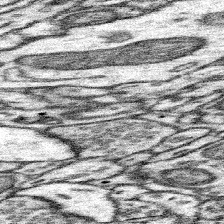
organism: Mouse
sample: Somatosensory cortex neuropil